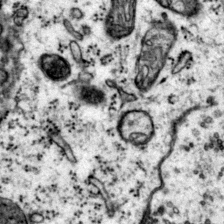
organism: Mouse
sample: Primary visual cortex